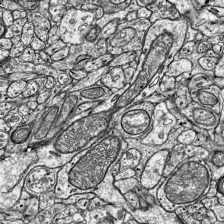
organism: Mouse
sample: Visual Cortex